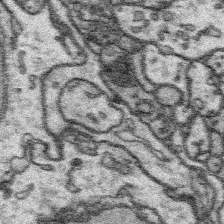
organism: Platynereis dumerilii